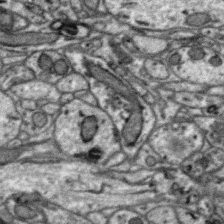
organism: Zebra finch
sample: Brain